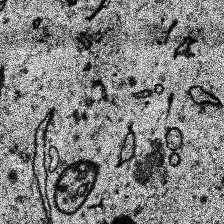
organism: Human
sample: Temporal Lobe